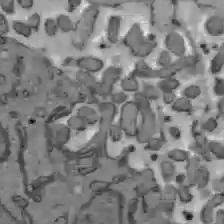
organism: C57BL Mouse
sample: Liver